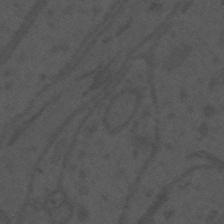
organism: Mouse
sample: Suprachiasmatic nucleus